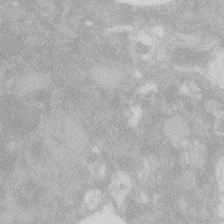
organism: Zebrafish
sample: Macrophage